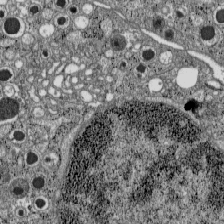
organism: C57BL Mouse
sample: Pancreatic islet